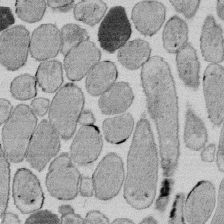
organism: E. coli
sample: Bacterial nucleoid